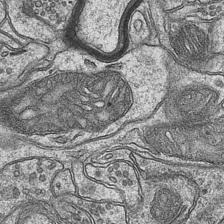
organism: Mouse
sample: CA1 Hippocampus